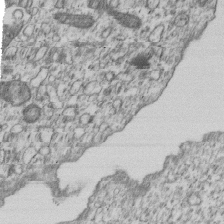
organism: Human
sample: MDA-MB-231 cells